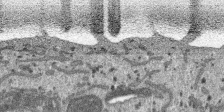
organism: Human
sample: Lung epithelial cells infected with SARS-CoV-2